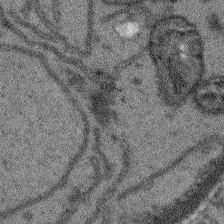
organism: Arabidopsis thaliana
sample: Root tip